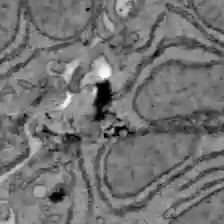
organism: C57BL Mouse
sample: Liver